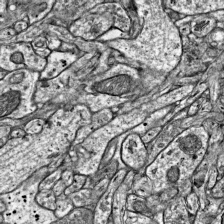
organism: Mouse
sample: Visual Cortex